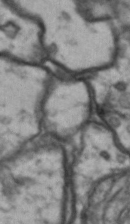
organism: Drosophila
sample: Brain